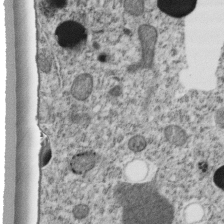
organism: C. elegans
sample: C. elegans embryo early stage